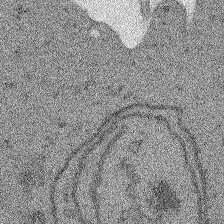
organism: Human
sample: HeLa cells